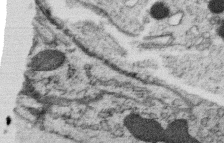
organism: C. elegans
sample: C. elegans oocyte; sperm cells